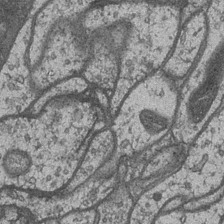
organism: Drosophila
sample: Optic medulla